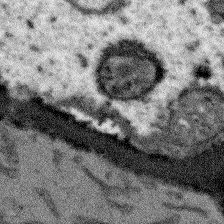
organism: Arabidopsis thaliana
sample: Root tip